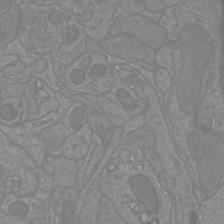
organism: Mouse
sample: Cortical neurons